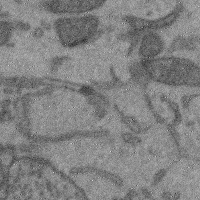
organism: Mouse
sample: Cerebral cortex